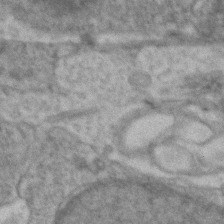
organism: Zebrafish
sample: Zebrafish embryo